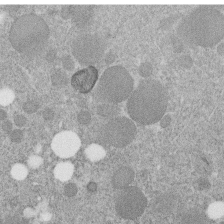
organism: C. elegans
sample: C. elegans embryo early stage